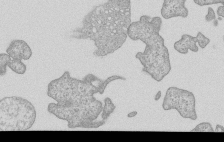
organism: Human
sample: MDA-MB-231 cells